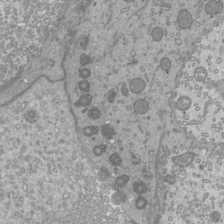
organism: Mouse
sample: Cilia; mouse epididymis